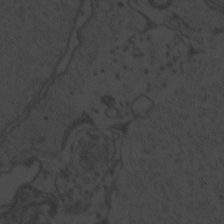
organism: Zebrafish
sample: Macrophage infected with Toxoplasma gondii